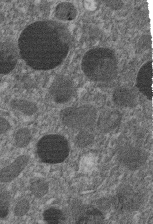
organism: C. elegans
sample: C. elegans embryo early stage